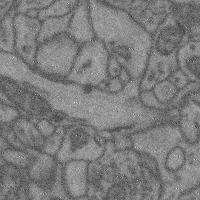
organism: Mouse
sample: Cerebral cortex